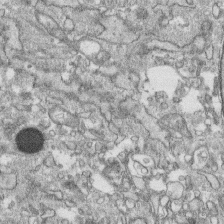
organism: Human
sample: CRL-1474